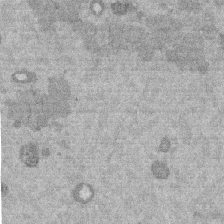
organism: Mouse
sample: Dividing mouse embryo 1 cell stage